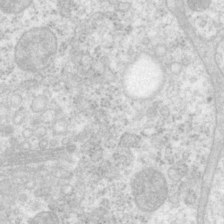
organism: P. pacificus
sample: Pharynx